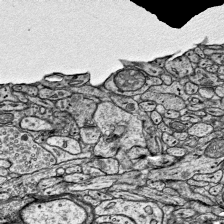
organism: Mouse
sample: Visual Cortex